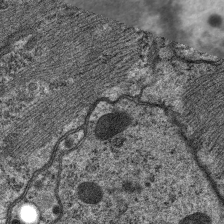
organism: C. elegans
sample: Pharynx